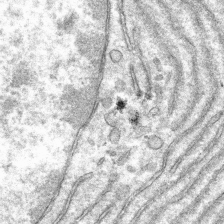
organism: Mouse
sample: Mouse hepatocytes